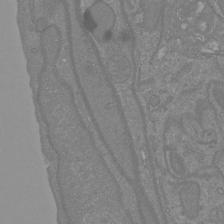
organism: Mouse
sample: Cortical neurons